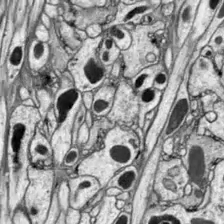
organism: Drosophila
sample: Optic lobe